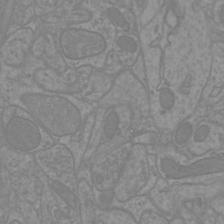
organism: Mouse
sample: Cortical neurons